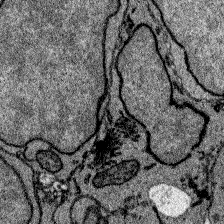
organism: Zebrafish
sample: Larval olfactory bulb